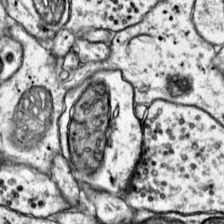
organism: Mouse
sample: Primary visual cortex